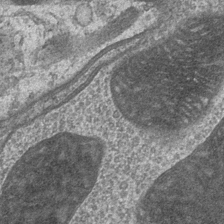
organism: Drosophila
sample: Optic medulla